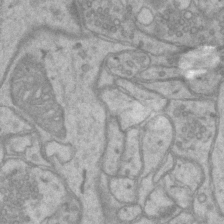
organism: Mouse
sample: CA1 Hippocampus